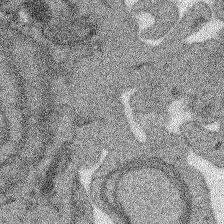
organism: Human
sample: HeLa cells